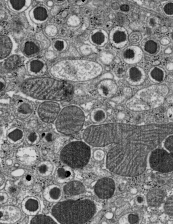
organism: C57BL Mouse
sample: Pancreatic islet